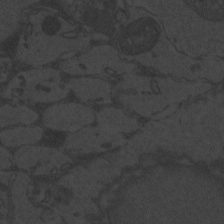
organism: Zebrafish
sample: Macrophage infected with Toxoplasma gondii